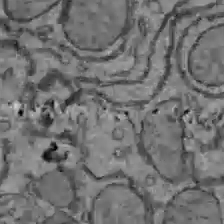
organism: C57BL Mouse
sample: Liver